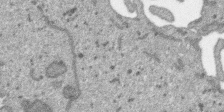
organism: Human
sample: Lung epithelial cells infected with SARS-CoV-2